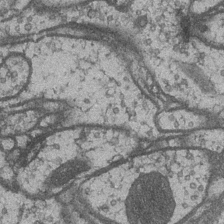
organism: Drosophila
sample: Optic medulla